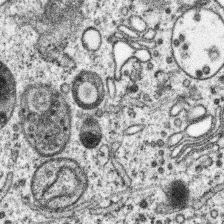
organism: Human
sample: HeLa cells